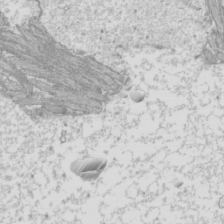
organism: Mouse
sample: Cilia; mouse epididymis